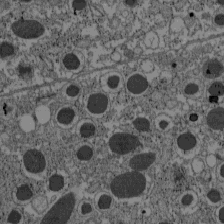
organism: C57BL Mouse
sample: Pancreatic islet